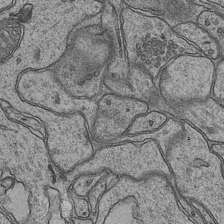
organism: Mouse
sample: CA1 Hippocampus